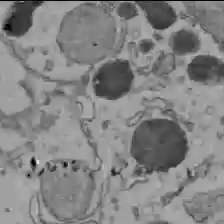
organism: C57BL Mouse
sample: Liver